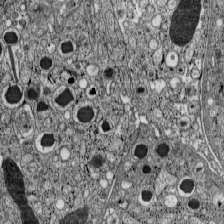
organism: C57BL Mouse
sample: Pancreatic islet